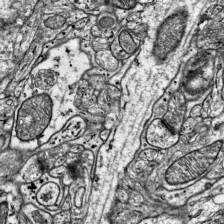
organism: Mouse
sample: Visual Cortex